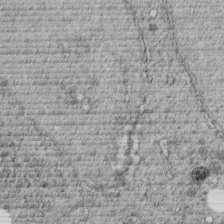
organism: C. elegans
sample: C. elegans embryo early stage